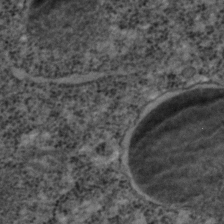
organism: C. elegans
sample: C. elegans embryo